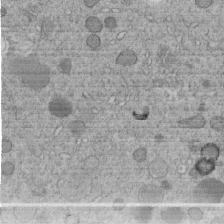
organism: C. elegans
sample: C. elegans embryo early stage